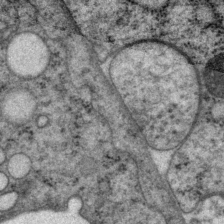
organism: P. pacificus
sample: Pharynx